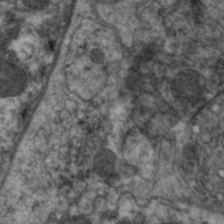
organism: C. elegans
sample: Pharynx